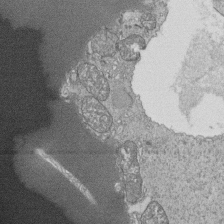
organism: Tetrahymena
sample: Cilia in tetrahymena